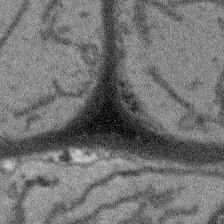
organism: Arabidopsis thaliana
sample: Root tip